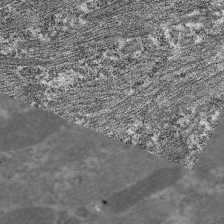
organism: C. elegans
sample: Pharynx